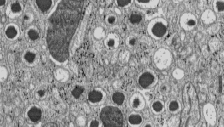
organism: C57BL Mouse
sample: Pancreatic islet